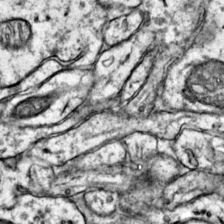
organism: Mouse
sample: Primary visual cortex